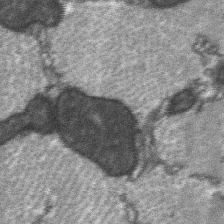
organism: C57BL Mouse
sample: Soleus